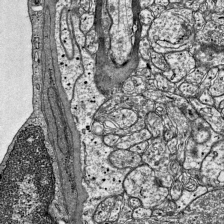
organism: Mouse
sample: Visual Cortex